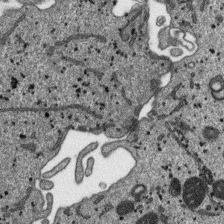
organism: Human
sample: Lung epithelial cells infected with SARS-CoV-2